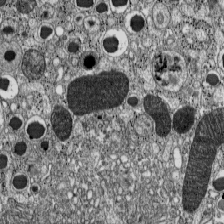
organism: C57BL Mouse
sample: Pancreatic islet